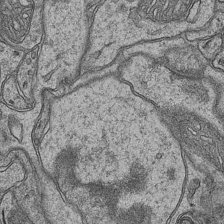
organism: Mouse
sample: CA1 Hippocampus